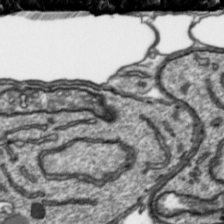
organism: Toxoplasma gondii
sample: Parasites in a vacuole inside a host cell